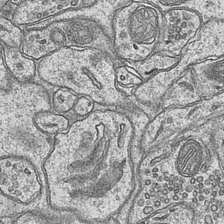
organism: Mouse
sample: CA1 Hippocampus